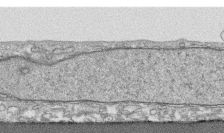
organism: Human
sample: CRL-1474